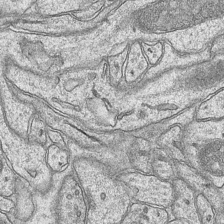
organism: Mouse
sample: CA1 Hippocampus